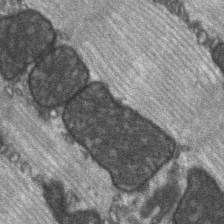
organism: C57BL Mouse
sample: Soleus